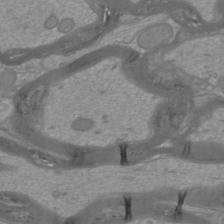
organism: Mouse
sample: Cortical neurons